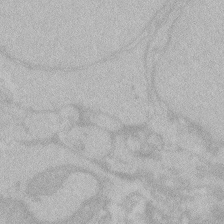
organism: Zebrafish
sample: Macrophage infected with Toxoplasma gondii